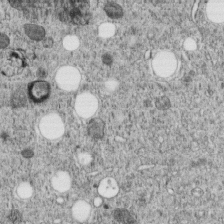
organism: C. elegans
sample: C. elegans embryo early stage